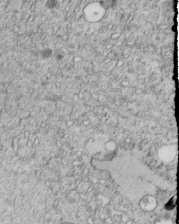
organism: C. elegans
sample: C. elegans embryo early stage